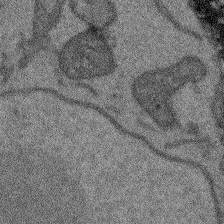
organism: Arabidopsis thaliana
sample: Root tip